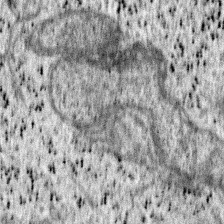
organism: Human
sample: HeLa cells